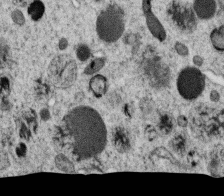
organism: C. elegans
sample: C. elegans oocyte; sperm cells